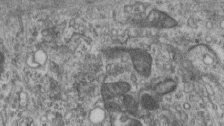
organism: Mouse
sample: Centriole in ependymal cells